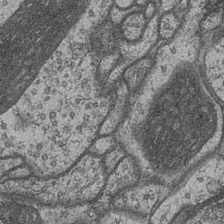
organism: Drosophila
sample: Optic medulla